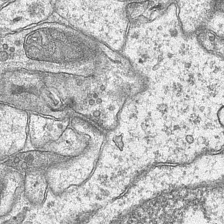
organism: Mouse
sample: CA1 Hippocampus